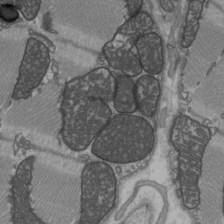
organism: C57BL Mouse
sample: Heart